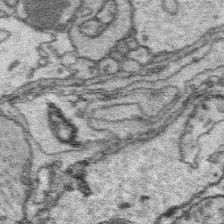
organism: Platynereis dumerilii